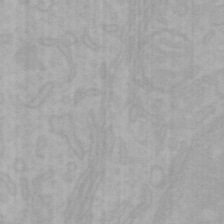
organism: Mouse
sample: Choroid plexus